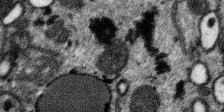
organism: Human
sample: Lung epithelial cells infected with SARS-CoV-2